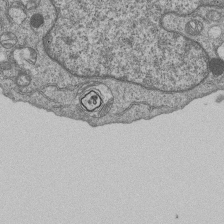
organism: Human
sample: MDA-MB-231 cells